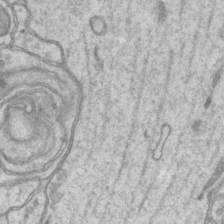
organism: Mouse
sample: CA1 Hippocampus